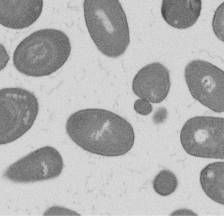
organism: B. subtilis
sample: Bacterial spore